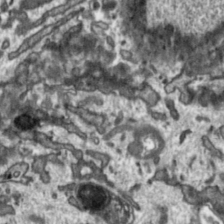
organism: Toxoplasma gondii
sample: Parasites in a vacuole inside a host cell